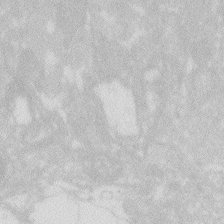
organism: Zebrafish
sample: Macrophage